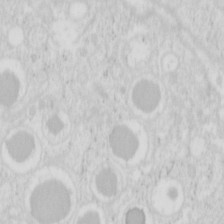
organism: Mouse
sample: Pancreas